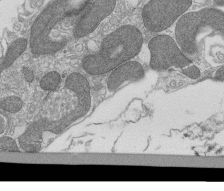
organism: Tetrahymena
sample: Cilia in tetrahymena